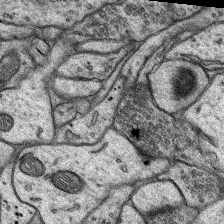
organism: Rat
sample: Hippocampus